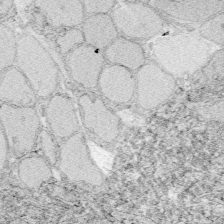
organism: Zebrafish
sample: Whole-Brain